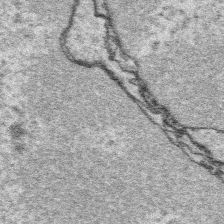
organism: Platynereis dumerilii